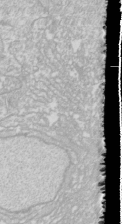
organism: Drosophila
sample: Cell division; meiosis; drosophila spermatocytes